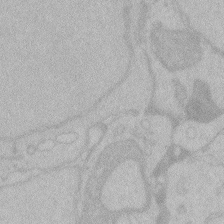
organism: Zebrafish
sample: Macrophage infected with Toxoplasma gondii